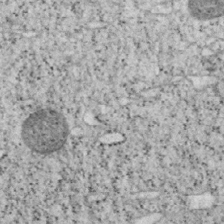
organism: Mouse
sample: OT-I killer T cells with ID8 ovarian cancer cells